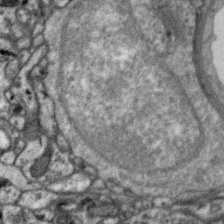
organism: Zebra finch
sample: Brain